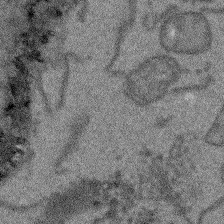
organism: Arabidopsis thaliana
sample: Root tip